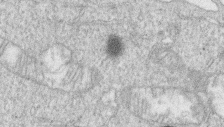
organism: Human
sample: HeLa cell HIV synapse